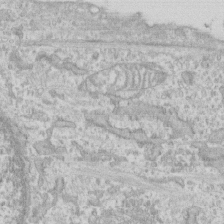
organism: Human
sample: CRL-1474